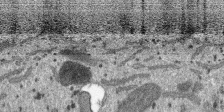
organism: Human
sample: Lung epithelial cells infected with SARS-CoV-2